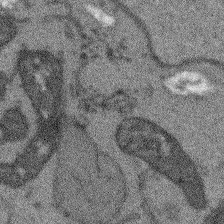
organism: Arabidopsis thaliana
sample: Root tip